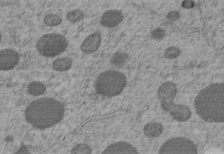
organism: C. elegans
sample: C. elegans embryo early stage